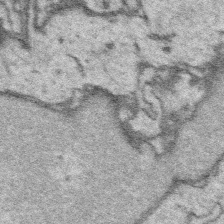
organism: Platynereis dumerilii